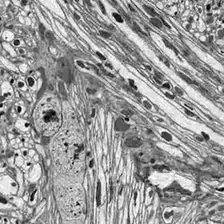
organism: Drosophila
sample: Optic lobe